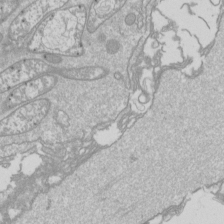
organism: Drosophila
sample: Cell division; meiosis; drosophila spermatocytes